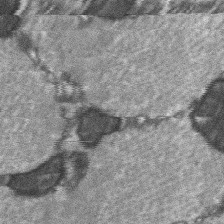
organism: C57BL Mouse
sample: Soleus